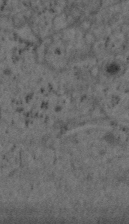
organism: Human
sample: HeLa cells